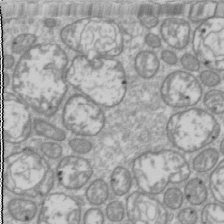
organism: Drosophila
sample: Cell division; meiosis; drosophila spermatocytes